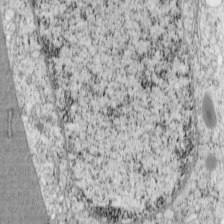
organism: African green monkey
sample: COS-7 cells